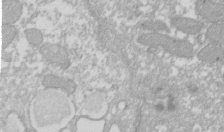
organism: Xenopus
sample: Cilia; centrioles in frog embryo cells